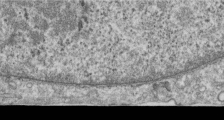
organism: Human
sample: Centriole in RPE cells